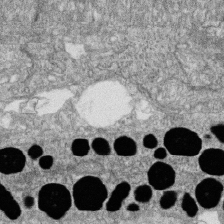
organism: Zebrafish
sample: Cilia; retinal pigment epithelium